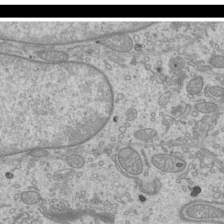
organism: Mouse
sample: Cilia; mouse epididymis